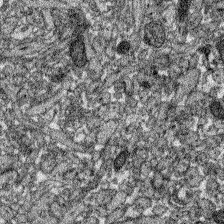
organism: Zebrafish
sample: Larval olfactory bulb